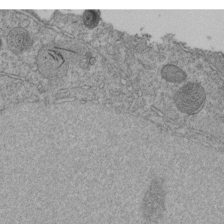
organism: C. elegans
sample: C. elegans embryo early stage